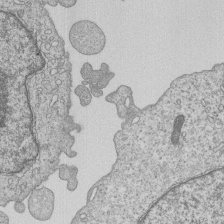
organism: Human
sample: MDA-MB-231 cells